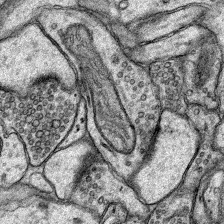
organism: Rat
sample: Hippocampus